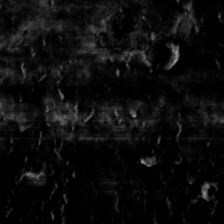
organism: Toxoplasma gondii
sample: Parasites in a vacuole inside a host cell